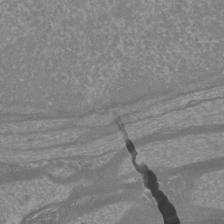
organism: Mouse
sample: Cortical neurons